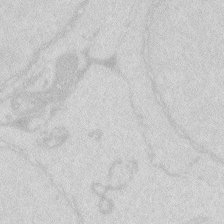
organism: Zebrafish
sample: Macrophage